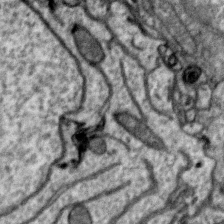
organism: Zebra finch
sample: Brain